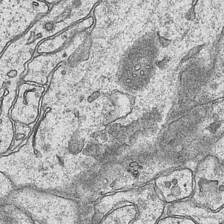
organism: Mouse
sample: CA1 Hippocampus